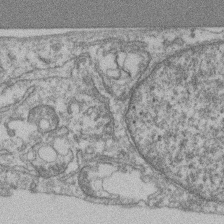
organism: Mouse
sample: T cell stromal cell synapse